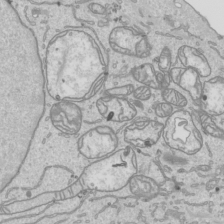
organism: Human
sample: Mitochondria in HCT116 cells